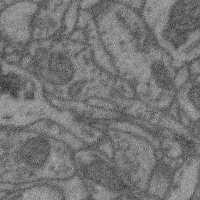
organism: Mouse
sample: Cerebral cortex